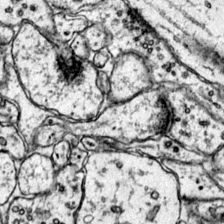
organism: Mouse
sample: Primary visual cortex